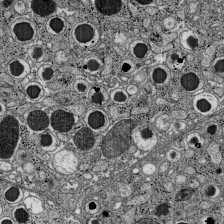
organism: C57BL Mouse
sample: Pancreatic islet